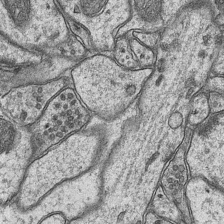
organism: Mouse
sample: CA1 Hippocampus